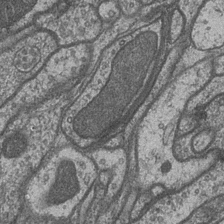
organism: Drosophila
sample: Optic medulla